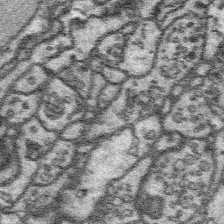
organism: Platynereis dumerilii